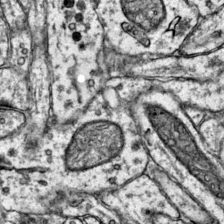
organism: Mouse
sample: Primary visual cortex